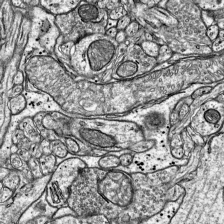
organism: Mouse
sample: Visual Cortex